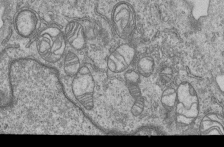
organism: Human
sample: MDA-MB-231 cells